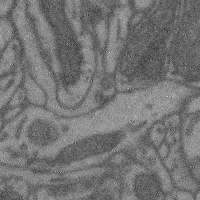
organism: Mouse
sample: Cerebral cortex